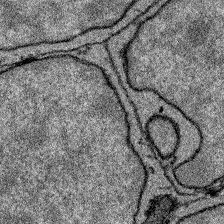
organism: Zebrafish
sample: Larval olfactory bulb